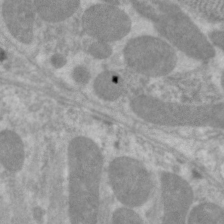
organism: C. elegans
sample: Pharynx